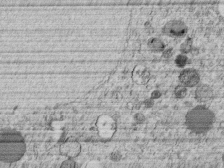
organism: C. elegans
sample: C. elegans embryo early stage